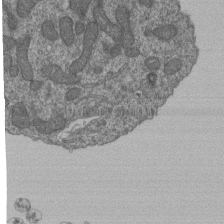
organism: Human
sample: Retinal organoid Rod and Cone cells